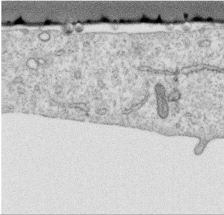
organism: Human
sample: Centriole in RPE cells